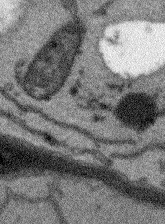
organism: Arabidopsis thaliana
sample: Root tip